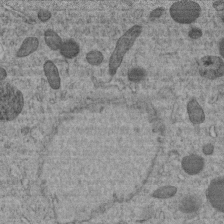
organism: C. elegans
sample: C. elegans embryo early stage